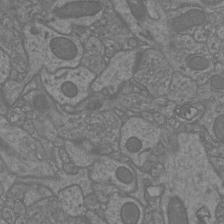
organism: Mouse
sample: Cortical neurons